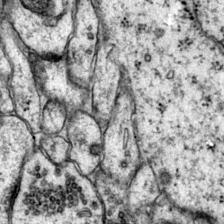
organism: Mouse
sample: Primary visual cortex